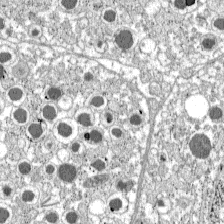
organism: C57BL Mouse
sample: Pancreatic islet